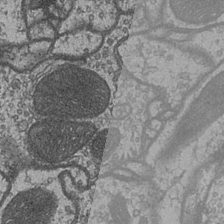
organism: Drosophila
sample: Optic medulla